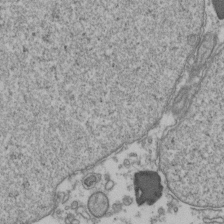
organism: Human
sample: Activated Jurkat CD4+ T cells